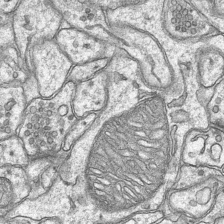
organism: Mouse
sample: CA1 Hippocampus